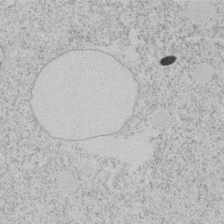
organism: Tetrahymena